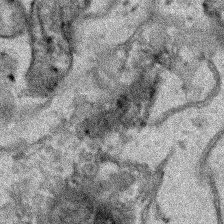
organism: Human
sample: Mitochondria in HCT116 cells